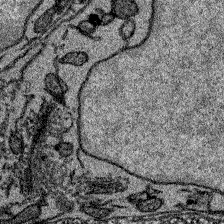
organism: Zebrafish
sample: Larval olfactory bulb